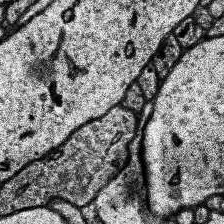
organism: Human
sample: Temporal Lobe